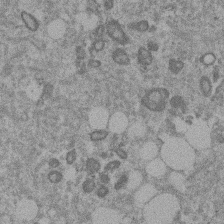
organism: Mouse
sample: Dividing mouse embryo 1 cell stage